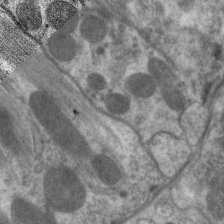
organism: C. elegans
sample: Pharynx